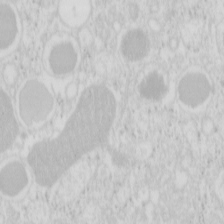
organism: Mouse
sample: Pancreas